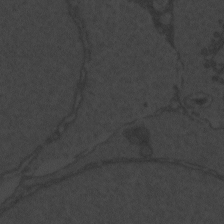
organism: Zebrafish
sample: Macrophage infected with Toxoplasma gondii